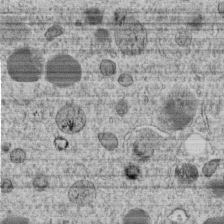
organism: C. elegans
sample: C. elegans embryo early stage